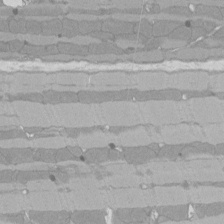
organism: Rat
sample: Left ventricle